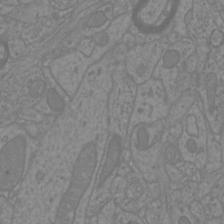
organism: Mouse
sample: Cortical neurons